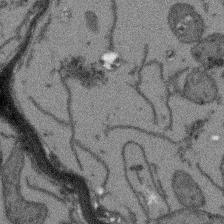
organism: Arabidopsis thaliana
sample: Root tip